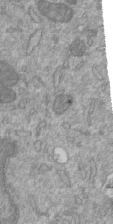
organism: Mouse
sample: ED-1 cell nuclei; centrioles